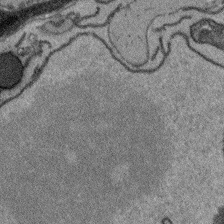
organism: Arabidopsis thaliana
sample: Root tip